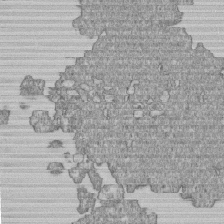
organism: Human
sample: MDA-MB-231 cells